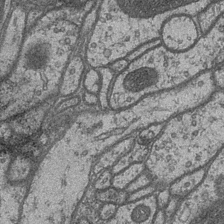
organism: Drosophila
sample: Optic medulla